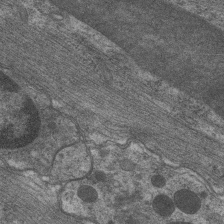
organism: C. elegans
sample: Pharynx